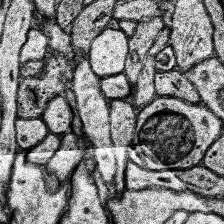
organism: Human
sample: Temporal Lobe